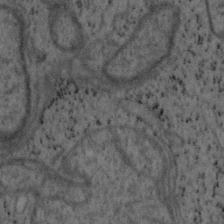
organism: Human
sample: HeLa cells